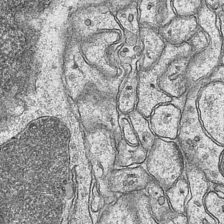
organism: Mouse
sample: CA1 Hippocampus